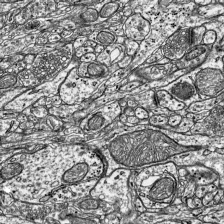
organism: Mouse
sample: Visual Cortex